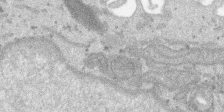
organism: Human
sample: Lung epithelial cells infected with SARS-CoV-2